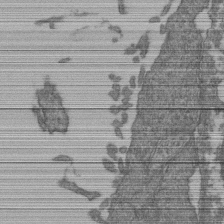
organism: Human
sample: Retinal organoid Rod and Cone cells